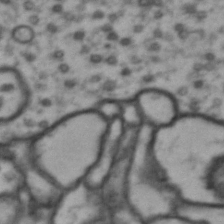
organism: Drosophila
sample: Brain